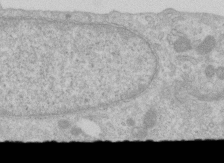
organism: Human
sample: Centriole in RPE cells